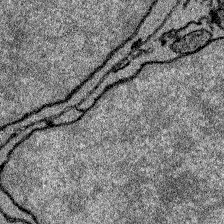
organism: Zebrafish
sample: Larval olfactory bulb